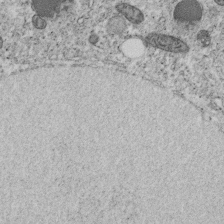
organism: C. elegans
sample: C. elegans embryo early stage